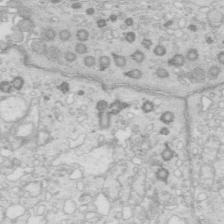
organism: Mouse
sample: Multiciliated cells